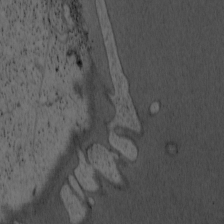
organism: African green monkey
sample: COS-7 cells